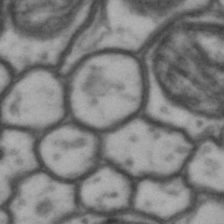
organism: Drosophila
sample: Brain